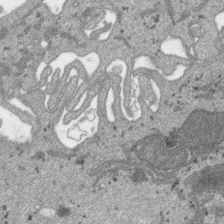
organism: Human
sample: Lung epithelial cells infected with SARS-CoV-2